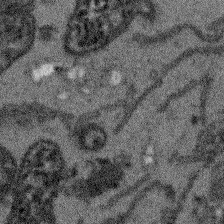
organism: Arabidopsis thaliana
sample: Root tip